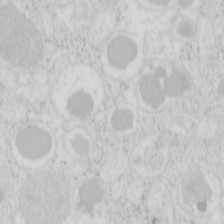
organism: Mouse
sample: Pancreas